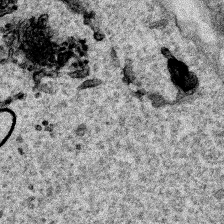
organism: Human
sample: Mitochondria in HCT116 cells